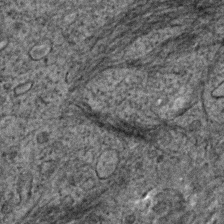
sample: Trachea